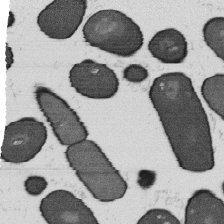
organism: B. subtilis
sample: Bacterial spore